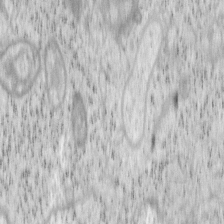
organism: Human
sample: HeLa cells